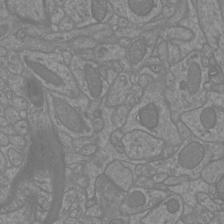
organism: Mouse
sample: Cortical neurons